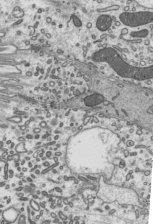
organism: Mouse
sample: Mouse epididymis efferent ductule cilia